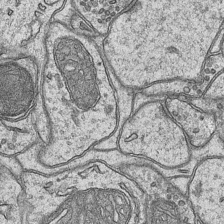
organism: Mouse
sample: CA1 Hippocampus